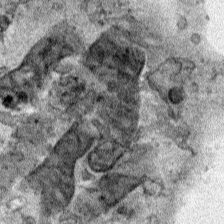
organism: Human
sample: Mitochondria in HCT116 cells